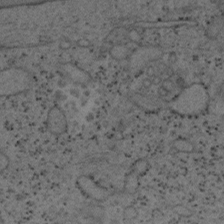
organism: Human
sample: HeLa cells